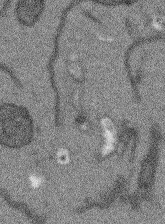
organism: Arabidopsis thaliana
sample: Root tip